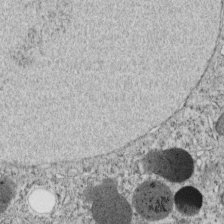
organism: C. elegans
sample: C. elegans embryo early stage